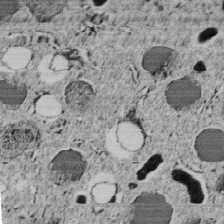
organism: C. elegans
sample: C. elegans embryo early stage